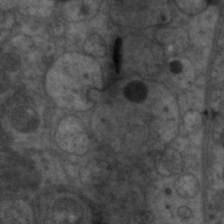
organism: C. elegans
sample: Pharynx